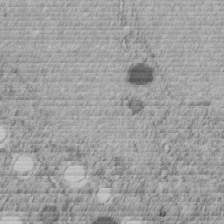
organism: C. elegans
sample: C. elegans embryo early stage